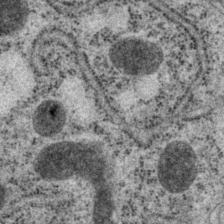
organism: P. pacificus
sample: Pharynx